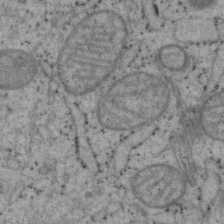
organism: Human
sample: HeLa cells